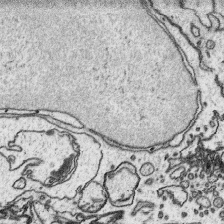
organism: Platynereis dumerilii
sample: Parapodia